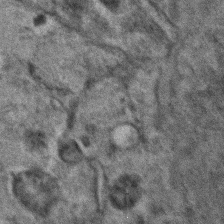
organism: C. elegans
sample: C. elegans embryo